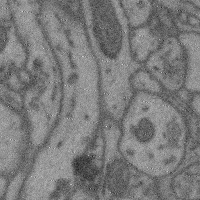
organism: Mouse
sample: Cerebral cortex